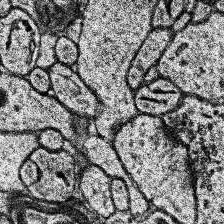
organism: Human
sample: Temporal Lobe